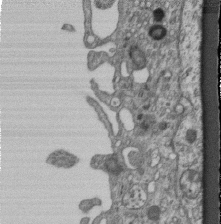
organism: Mouse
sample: Centriole in ependymal cells